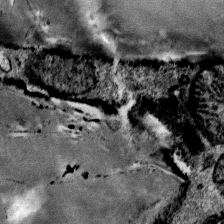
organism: Mouse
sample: Mouse Salivary gland